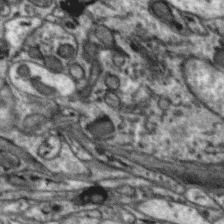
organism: Zebra finch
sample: Brain